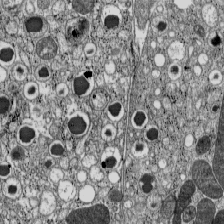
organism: C57BL Mouse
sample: Pancreatic islet